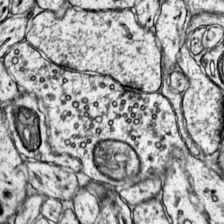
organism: Mouse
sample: Primary visual cortex